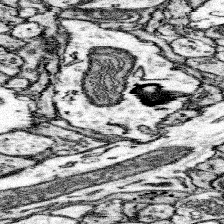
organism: Mouse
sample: Somatosensory cortex neuropil